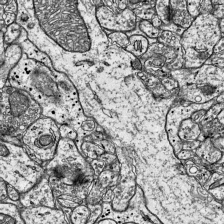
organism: Mouse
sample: Visual Cortex